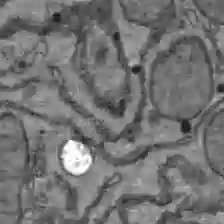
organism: C57BL Mouse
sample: Liver